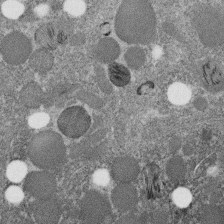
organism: C. elegans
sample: C. elegans embryo early stage